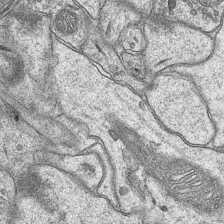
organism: Mouse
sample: CA1 Hippocampus